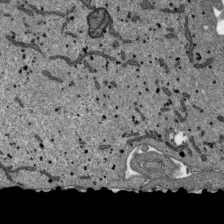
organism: Human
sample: Lung epithelial cells, uninfected (mock) control